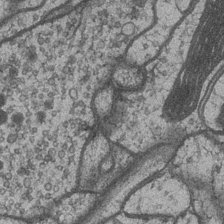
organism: Drosophila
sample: Optic medulla